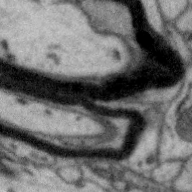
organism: Zebra finch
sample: Brain